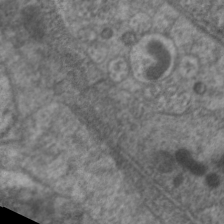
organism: C. elegans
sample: Pharynx